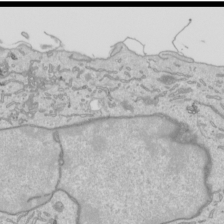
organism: Human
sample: Mitochondria in HCT116 cells